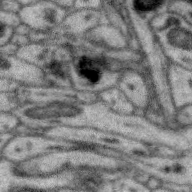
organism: Zebra finch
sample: Brain